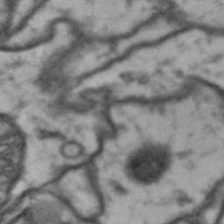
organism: Drosophila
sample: Brain